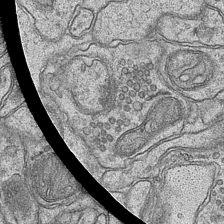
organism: Mouse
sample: CA1 Hippocampus